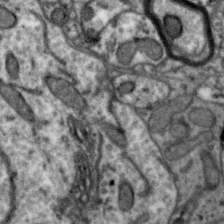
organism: Zebra finch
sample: Brain